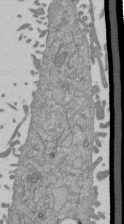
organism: Mouse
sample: ED-1 cell nuclei; centrioles